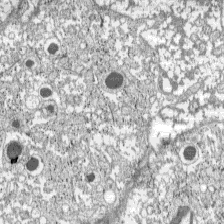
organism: C57BL Mouse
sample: Pancreatic islet